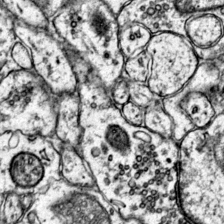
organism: Mouse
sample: Primary visual cortex